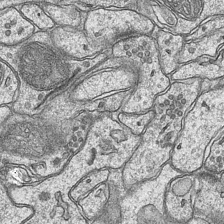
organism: Mouse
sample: CA1 Hippocampus